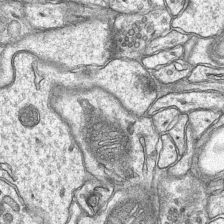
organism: Mouse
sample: CA1 Hippocampus